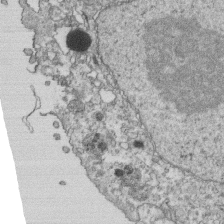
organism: Human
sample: HeLa cell HIV synapse